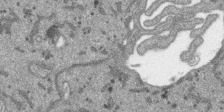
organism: Human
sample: Lung epithelial cells infected with SARS-CoV-2